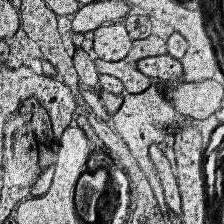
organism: Human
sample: Temporal Lobe